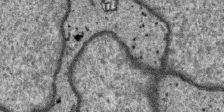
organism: Human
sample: Lung epithelial cells, uninfected (mock) control